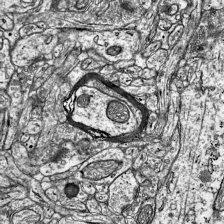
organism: Mouse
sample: Visual Cortex